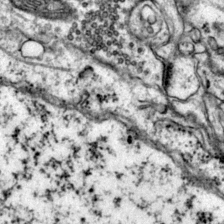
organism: Mouse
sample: Primary visual cortex